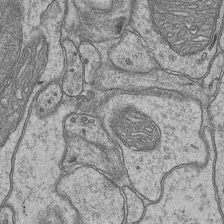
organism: Mouse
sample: CA1 Hippocampus